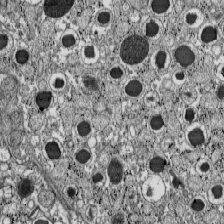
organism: C57BL Mouse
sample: Pancreatic islet